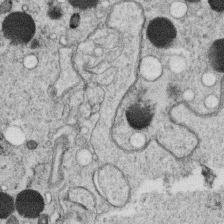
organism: C. elegans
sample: C. elegans oocyte; sperm cells